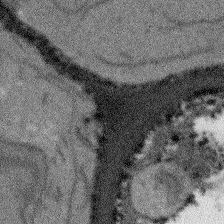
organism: Arabidopsis thaliana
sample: Root tip